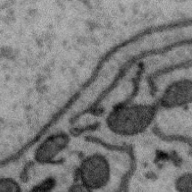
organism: Zebra finch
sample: Brain